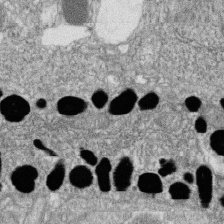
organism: Zebrafish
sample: Cilia; retinal pigment epithelium